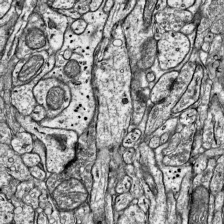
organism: Mouse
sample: Visual Cortex